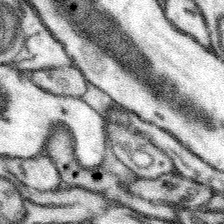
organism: Mouse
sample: Somatosensory cortex neuropil